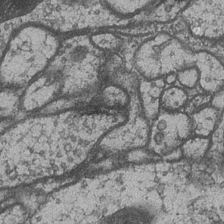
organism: Drosophila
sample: Optic medulla